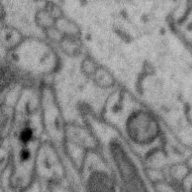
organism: Zebra finch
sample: Brain